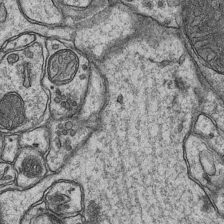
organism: Mouse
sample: CA1 Hippocampus